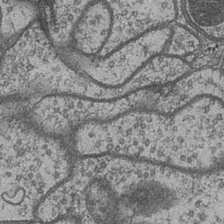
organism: Drosophila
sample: Optic medulla